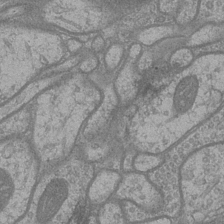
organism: Drosophila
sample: Optic medulla